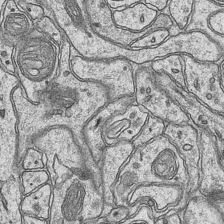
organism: Mouse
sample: CA1 Hippocampus